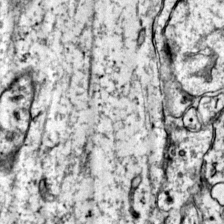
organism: Mouse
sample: Primary visual cortex